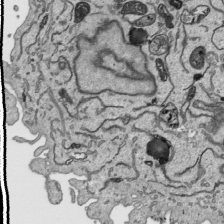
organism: Human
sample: Mitochondria in HCT116 cells